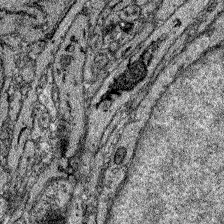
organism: Zebrafish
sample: Larval olfactory bulb